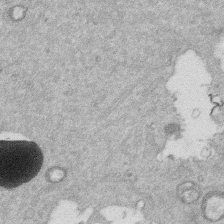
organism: Mouse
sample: Dividing mouse embryo 1 cell stage